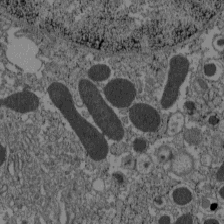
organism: C57BL Mouse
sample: Pancreatic islet